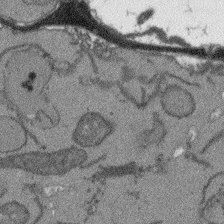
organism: Arabidopsis thaliana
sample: Root tip